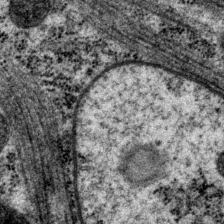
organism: P. pacificus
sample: Pharynx